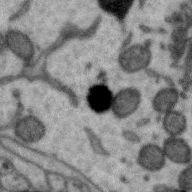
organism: Zebra finch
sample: Brain